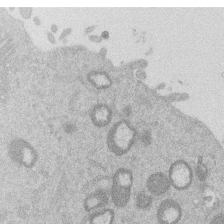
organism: Mouse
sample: Dividing mouse embryo 1 cell stage